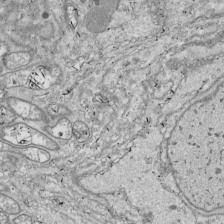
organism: Drosophila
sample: Cell division; meiosis; drosophila spermatocytes